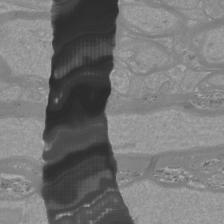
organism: Mouse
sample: Cortical neurons